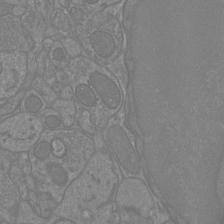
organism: Mouse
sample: Cortical neurons